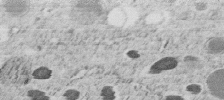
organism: C. elegans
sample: C. elegans embryo early stage